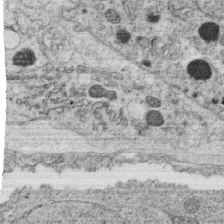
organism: C. elegans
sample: C. elegans oocyte; sperm cells